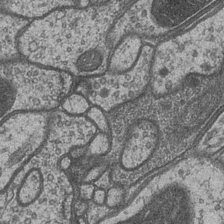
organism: Drosophila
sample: Optic medulla